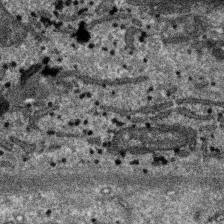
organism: Human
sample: Lung epithelial cells infected with SARS-CoV-2